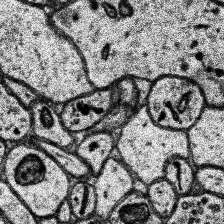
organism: Human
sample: Temporal Lobe